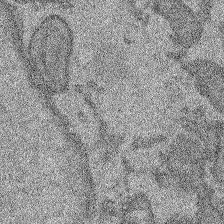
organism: Human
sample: HeLa cells